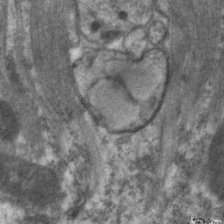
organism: C. elegans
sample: Pharynx